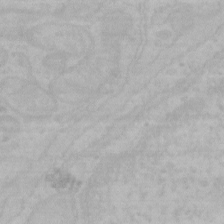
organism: Mouse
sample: Choroid plexus